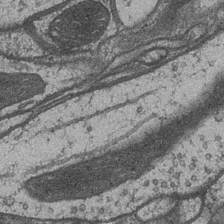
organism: Drosophila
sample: Optic medulla